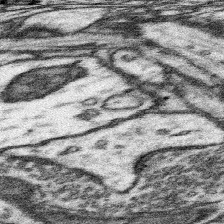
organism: Mouse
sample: Somatosensory cortex neuropil